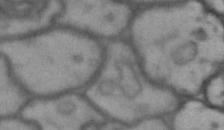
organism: Drosophila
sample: Brain